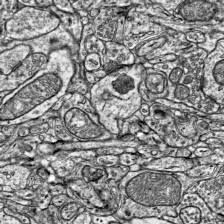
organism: Mouse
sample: Visual Cortex